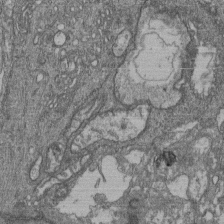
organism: Human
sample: Retinal organoid Rod and Cone cells